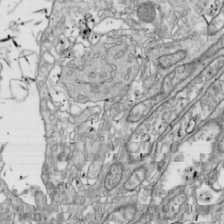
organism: Drosophila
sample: Cell division; meiosis; drosophila spermatocytes